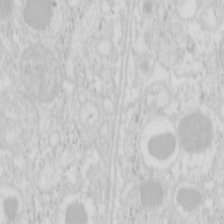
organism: Mouse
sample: Pancreas